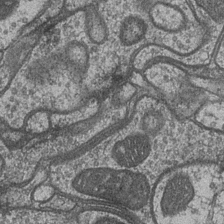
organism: Drosophila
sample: Optic medulla